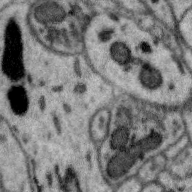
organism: Zebra finch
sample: Brain